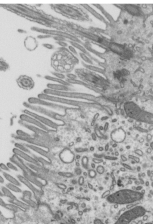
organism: Mouse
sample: Mouse epididymis efferent ductule cilia